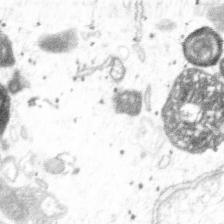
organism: Human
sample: HeLa cells